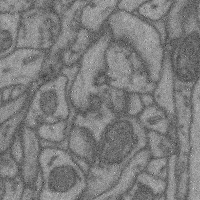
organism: Mouse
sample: Cerebral cortex